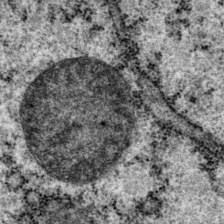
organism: P. pacificus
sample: Pharynx